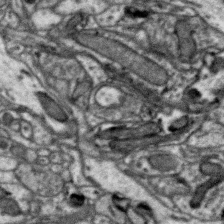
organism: Zebra finch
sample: Brain